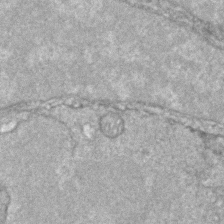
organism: Zebrafish